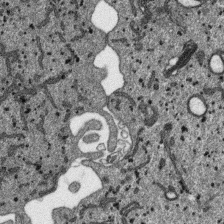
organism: Human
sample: Lung epithelial cells infected with SARS-CoV-2